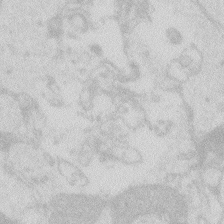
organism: Zebrafish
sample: Macrophage